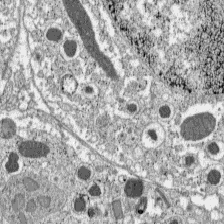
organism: C57BL Mouse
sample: Pancreatic islet